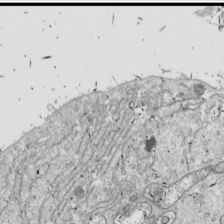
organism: Drosophila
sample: Cell division; meiosis; drosophila spermatocytes